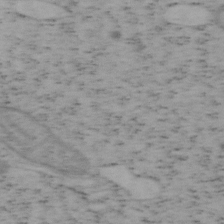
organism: Mouse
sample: OT-I killer T cells with ID8 ovarian cancer cells